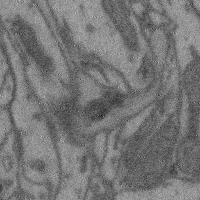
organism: Mouse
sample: Cerebral cortex